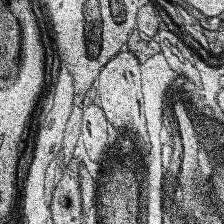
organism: Human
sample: Temporal Lobe